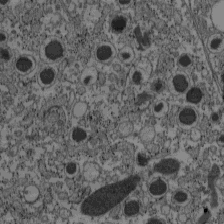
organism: C57BL Mouse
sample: Pancreatic islet